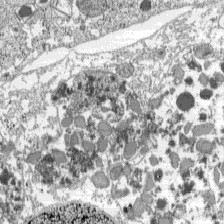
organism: C57BL Mouse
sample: Pancreatic islet